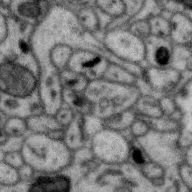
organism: Zebra finch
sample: Brain